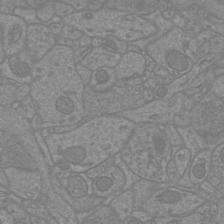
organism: Mouse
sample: Cortical neurons